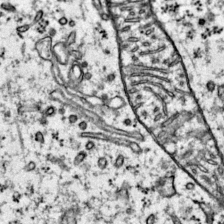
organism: Mouse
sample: Primary visual cortex